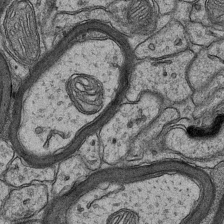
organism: Mouse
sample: CA1 Hippocampus